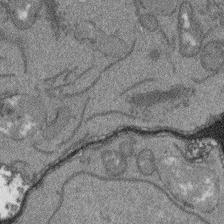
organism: Arabidopsis thaliana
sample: Root tip